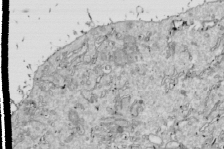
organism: Drosophila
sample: Cell division; meiosis; drosophila spermatocytes